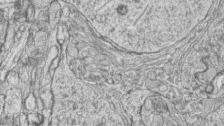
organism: Zebrafish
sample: synaptic ribbons in rod cells and cone cells